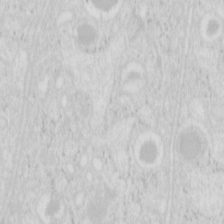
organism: Mouse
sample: Pancreas